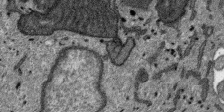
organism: Human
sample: Lung epithelial cells, uninfected (mock) control